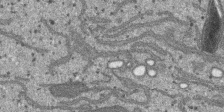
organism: Human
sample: Lung epithelial cells infected with SARS-CoV-2